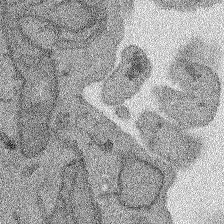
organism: Human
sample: HeLa cells